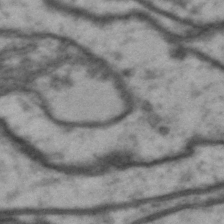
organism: Drosophila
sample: Brain